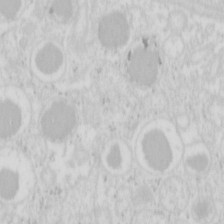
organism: Mouse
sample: Pancreas